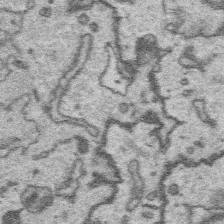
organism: Platynereis dumerilii